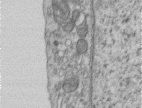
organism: Human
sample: Centriole in RPE cells